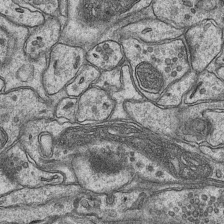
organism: Mouse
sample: CA1 Hippocampus